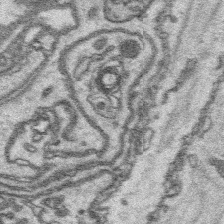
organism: Platynereis dumerilii